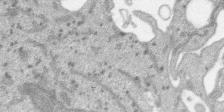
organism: Human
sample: Lung epithelial cells infected with SARS-CoV-2